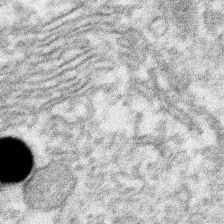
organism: Xenopus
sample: Cilia; centrioles in frog embryo cells